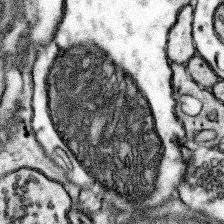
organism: Mouse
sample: Somatosensory cortex neuropil